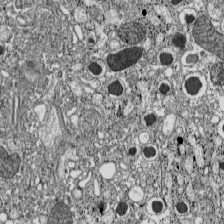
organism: C57BL Mouse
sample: Pancreatic islet